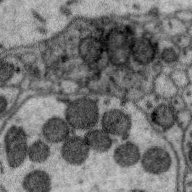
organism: Zebra finch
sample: Brain